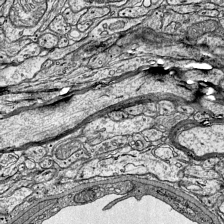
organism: Mouse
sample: Visual Cortex